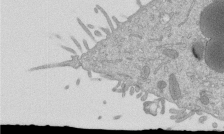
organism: Mouse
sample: ED-1 cell nuclei; centrioles